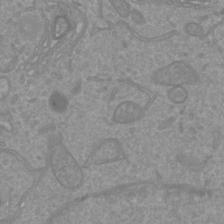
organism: Mouse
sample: Cortical neurons